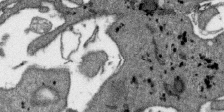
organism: Human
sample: Lung epithelial cells, uninfected (mock) control